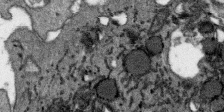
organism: Human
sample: Lung epithelial cells, uninfected (mock) control